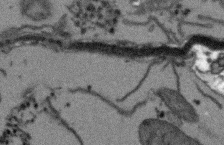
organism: Arabidopsis thaliana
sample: Root tip